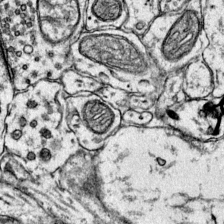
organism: Mouse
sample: Primary visual cortex